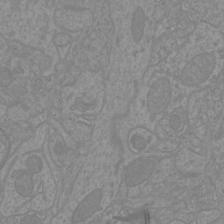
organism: Mouse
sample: Cortical neurons